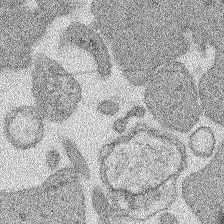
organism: Human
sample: HeLa cells